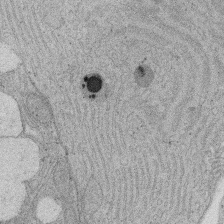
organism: Rat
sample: Salivary granule